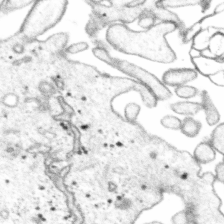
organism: Human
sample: HeLa cells